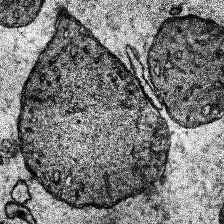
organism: Human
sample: Temporal Lobe